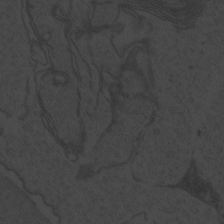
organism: Zebrafish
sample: Macrophage infected with Toxoplasma gondii